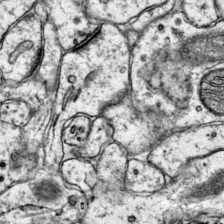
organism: Mouse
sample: Primary visual cortex